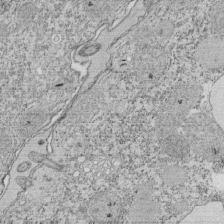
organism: Tetrahymena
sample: Cilia in tetrahymena